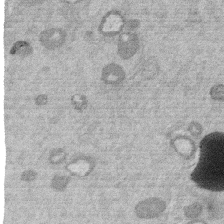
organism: Mouse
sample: Dividing mouse embryo 1 cell stage